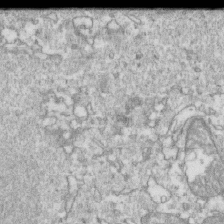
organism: Mouse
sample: Activated OT-1 CD8+ T cells